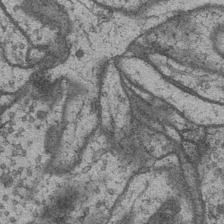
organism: Drosophila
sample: Optic medulla